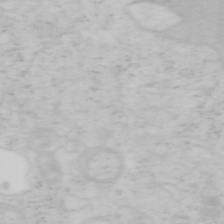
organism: Mouse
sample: OT-I killer T cells with ID8 ovarian cancer cells